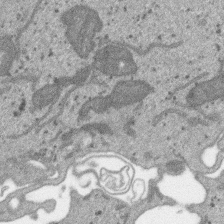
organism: Human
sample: Lung epithelial cells infected with SARS-CoV-2